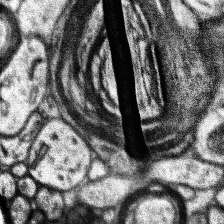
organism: Human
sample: Temporal Lobe